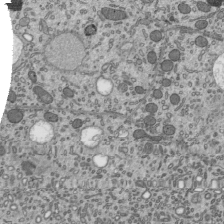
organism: Mouse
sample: Mouse epididymis efferent ductule cilia